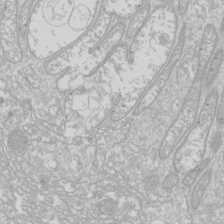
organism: Drosophila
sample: Cell division; meiosis; drosophila spermatocytes